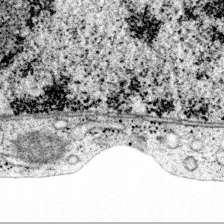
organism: Human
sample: HeLa cells